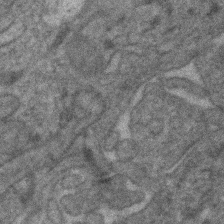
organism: Human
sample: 1205lu cells